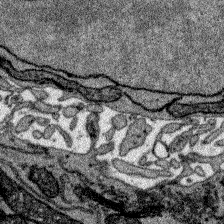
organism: Zebrafish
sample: Larval olfactory bulb